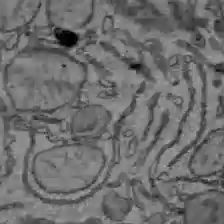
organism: C57BL Mouse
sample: Liver